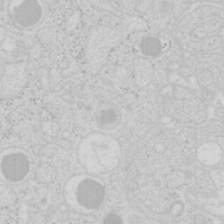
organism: Mouse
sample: Pancreas